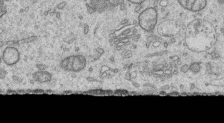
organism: Human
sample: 1205lu cells